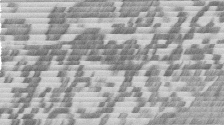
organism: Mouse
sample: Dividing mouse embryo 1 cell stage